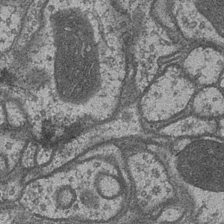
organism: Drosophila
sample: Optic medulla